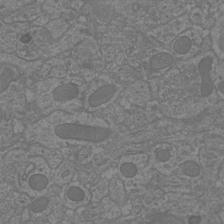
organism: Mouse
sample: Cortical neurons